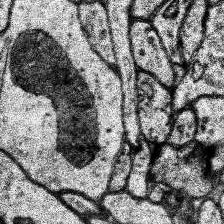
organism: Human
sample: Temporal Lobe